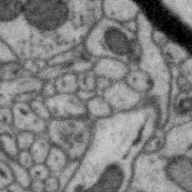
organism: Zebra finch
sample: Brain